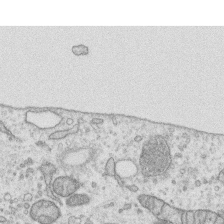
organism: Human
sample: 1205lu cells